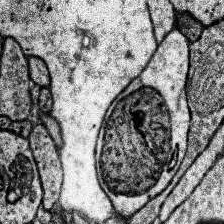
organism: Human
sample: Temporal Lobe